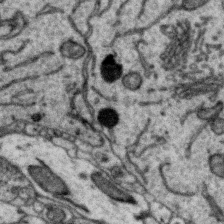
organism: Zebra finch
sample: Brain